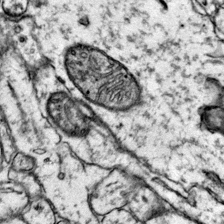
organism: Mouse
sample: Primary visual cortex